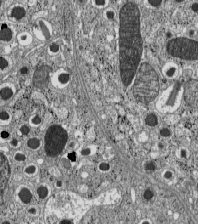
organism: C57BL Mouse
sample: Pancreatic islet